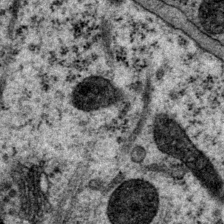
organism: P. pacificus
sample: Pharynx